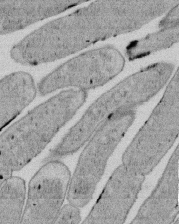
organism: E. coli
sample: Bacterial nucleoid